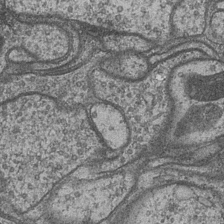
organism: Drosophila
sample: Optic medulla